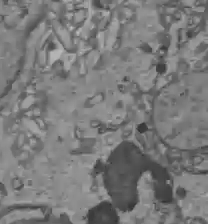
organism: C57BL Mouse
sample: Liver